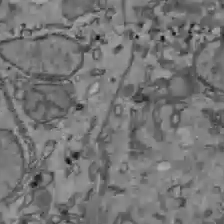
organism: C57BL Mouse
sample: Liver